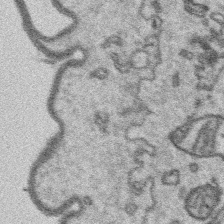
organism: Platynereis dumerilii